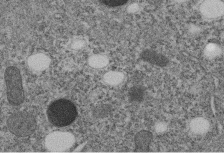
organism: C. elegans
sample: C. elegans embryo early stage